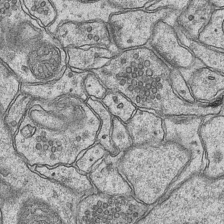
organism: Mouse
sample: CA1 Hippocampus